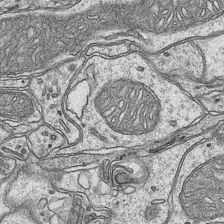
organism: Mouse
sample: CA1 Hippocampus